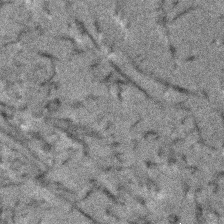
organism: Human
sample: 1205lu cells